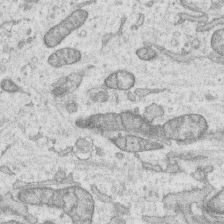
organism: Human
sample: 1205lu cells